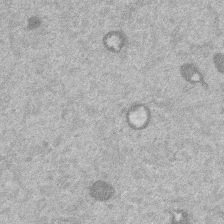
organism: Mouse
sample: Dividing mouse embryo 1 cell stage